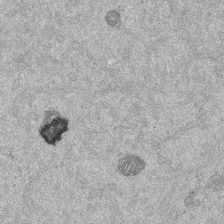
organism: Mouse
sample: Dividing mouse embryo 1 cell stage